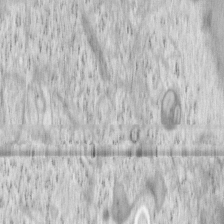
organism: Human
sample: HeLa cells